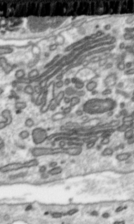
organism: Toxoplasma gondii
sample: Parasites in a vacuole inside a host cell